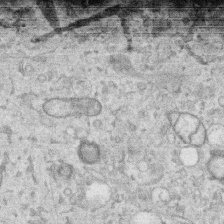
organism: Human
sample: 1205lu cells